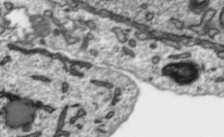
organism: Toxoplasma gondii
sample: Parasites in a vacuole inside a host cell